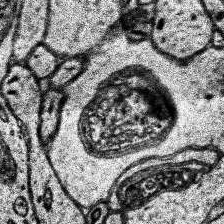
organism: Human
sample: Temporal Lobe